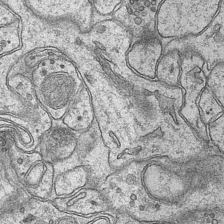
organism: Mouse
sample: CA1 Hippocampus